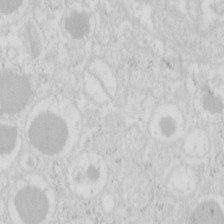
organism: Mouse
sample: Pancreas